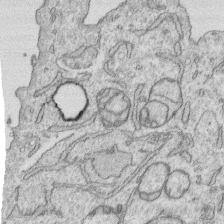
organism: Human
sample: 1205lu cells